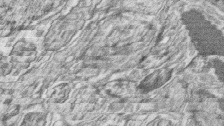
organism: Zebrafish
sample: synaptic ribbons in rod cells and cone cells